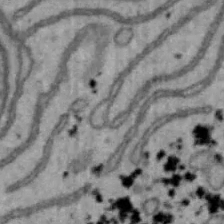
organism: Mouse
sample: Liver